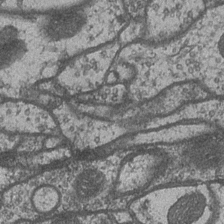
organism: Drosophila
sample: Optic medulla